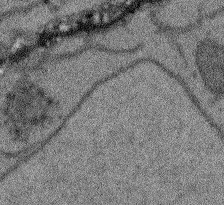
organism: Arabidopsis thaliana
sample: Root tip